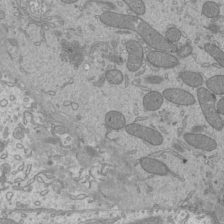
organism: Mouse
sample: Cilia; mouse epididymis